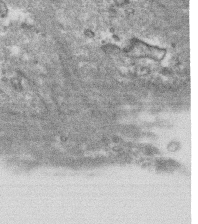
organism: Human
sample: CRL-1474